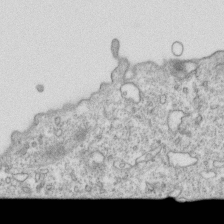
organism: Mouse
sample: Activated OT-1 CD8+ T cells